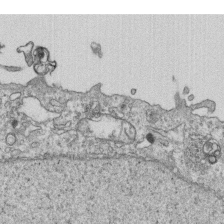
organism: Human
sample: HeLa cell HIV synapse